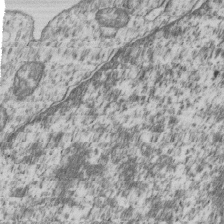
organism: Human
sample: MDA-MB-231 cells